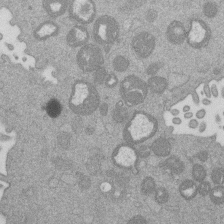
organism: Mouse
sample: Dividing mouse embryo 1 cell stage